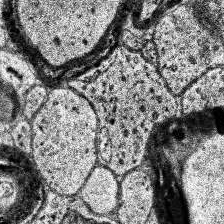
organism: Human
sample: Temporal Lobe